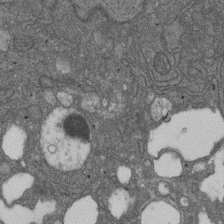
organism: Drosophila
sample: Nephrocyte